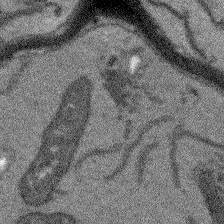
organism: Arabidopsis thaliana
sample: Root tip